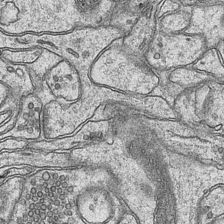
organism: Mouse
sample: CA1 Hippocampus